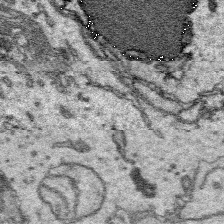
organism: Platynereis dumerilii